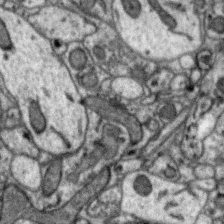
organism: Zebra finch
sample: Brain